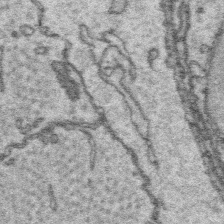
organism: Platynereis dumerilii